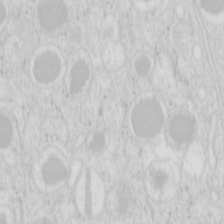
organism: Mouse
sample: Pancreas